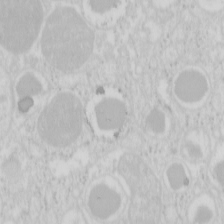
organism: Mouse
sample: Pancreas